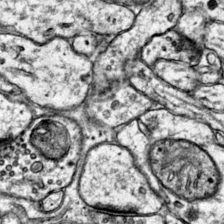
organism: Mouse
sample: Primary visual cortex